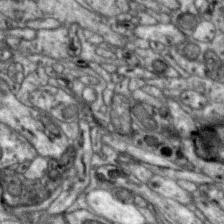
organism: Zebra finch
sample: Brain